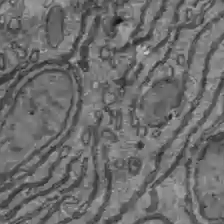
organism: C57BL Mouse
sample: Liver